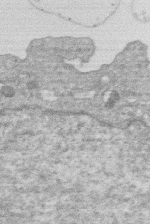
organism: Human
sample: Macrophage cells